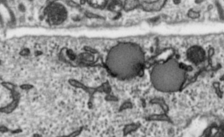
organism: Toxoplasma gondii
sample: Parasites in a vacuole inside a host cell